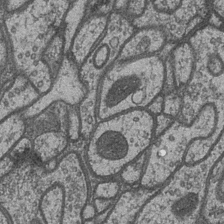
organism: Drosophila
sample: Optic medulla